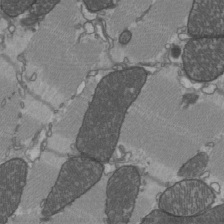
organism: C57BL Mouse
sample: Heart